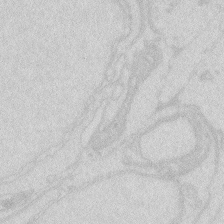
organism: Zebrafish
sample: Macrophage